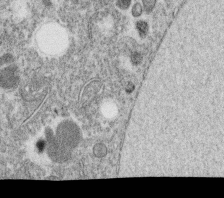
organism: C. elegans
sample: C. elegans oocyte; sperm cells